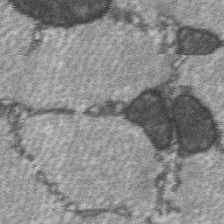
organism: C57BL Mouse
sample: Soleus